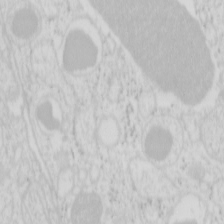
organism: Mouse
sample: Pancreas